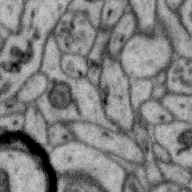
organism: Zebra finch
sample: Brain